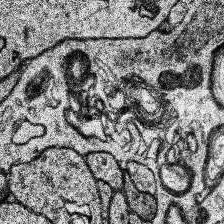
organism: Human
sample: Temporal Lobe